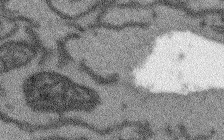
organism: Arabidopsis thaliana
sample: Root tip